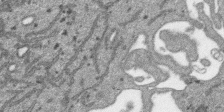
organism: Human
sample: Lung epithelial cells infected with SARS-CoV-2